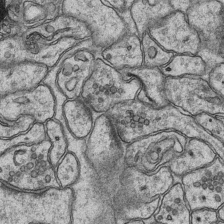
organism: Mouse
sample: CA1 Hippocampus